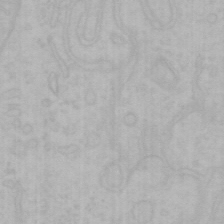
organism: Mouse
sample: Choroid plexus